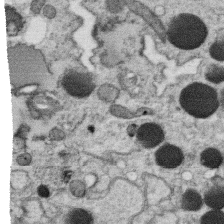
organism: C. elegans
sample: C. elegans oocyte; sperm cells